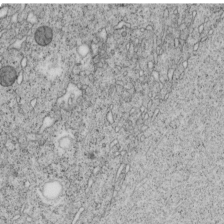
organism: C. elegans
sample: C. elegans embryo early stage